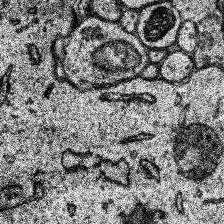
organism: Human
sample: Temporal Lobe